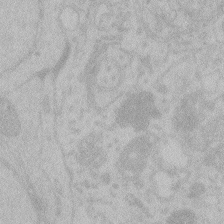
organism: Zebrafish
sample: Macrophage infected with Toxoplasma gondii